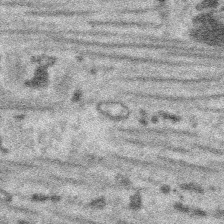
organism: Platynereis dumerilii